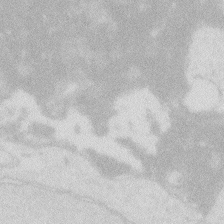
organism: Zebrafish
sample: Macrophage